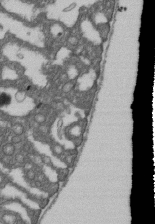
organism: Drosophila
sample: Nephrocyte